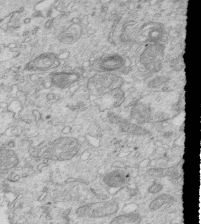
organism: Mouse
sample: Multiciliated cells